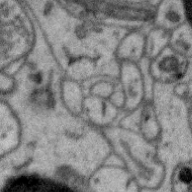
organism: Zebra finch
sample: Brain